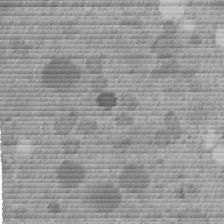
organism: C. elegans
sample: C. elegans embryo early stage